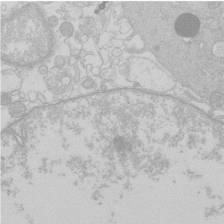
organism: Human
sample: Macrophage cells